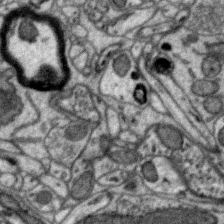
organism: Zebra finch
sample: Brain